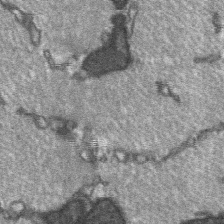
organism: C57BL Mouse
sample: Soleus